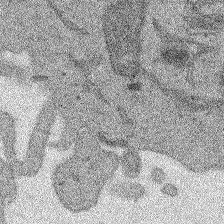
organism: Human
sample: HeLa cells